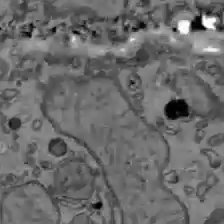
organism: C57BL Mouse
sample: Liver